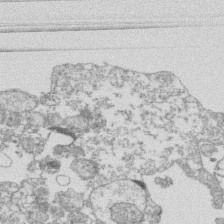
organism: Human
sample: HeLa cell HIV synapse